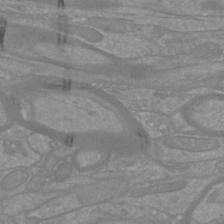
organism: Mouse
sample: Cortical neurons